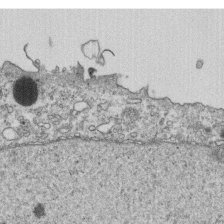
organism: Human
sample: HeLa cell HIV synapse